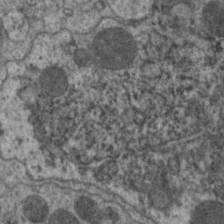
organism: C. elegans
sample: Pharynx